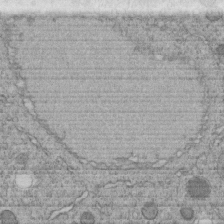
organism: C. elegans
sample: C. elegans embryo early stage